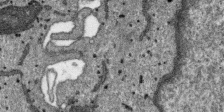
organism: Human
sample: Lung epithelial cells, uninfected (mock) control